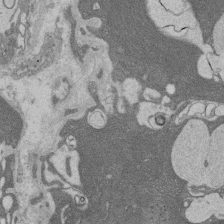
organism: Rat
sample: Salivary granule